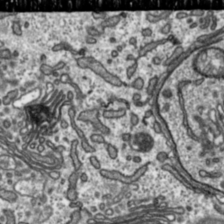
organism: Toxoplasma gondii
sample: Parasites in a vacuole inside a host cell